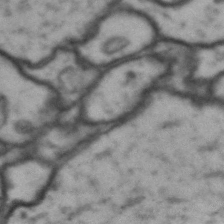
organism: Drosophila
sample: Brain